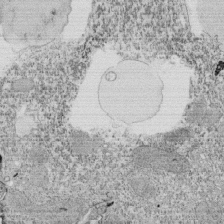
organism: Tetrahymena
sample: Cilia in tetrahymena